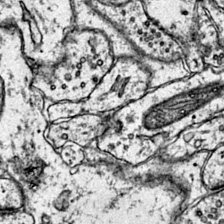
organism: Mouse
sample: Primary visual cortex